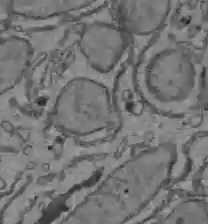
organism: C57BL Mouse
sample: Liver